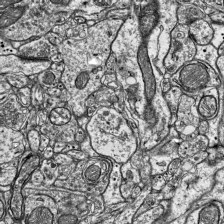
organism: Mouse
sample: Visual Cortex